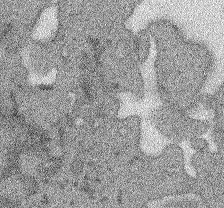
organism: Human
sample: HeLa cells